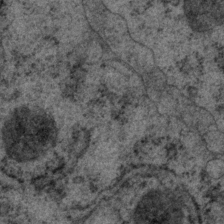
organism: P. pacificus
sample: Pharynx